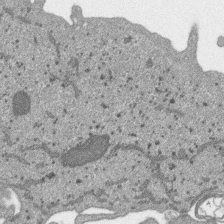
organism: Human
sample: Lung epithelial cells infected with SARS-CoV-2